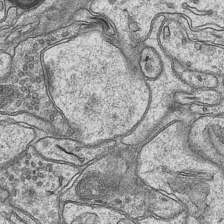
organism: Mouse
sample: CA1 Hippocampus